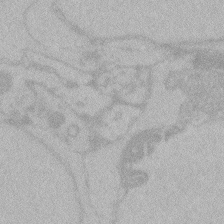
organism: Zebrafish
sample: Macrophage infected with Toxoplasma gondii